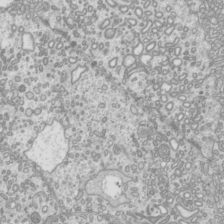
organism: Mouse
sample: Cilia; mouse epididymis